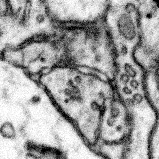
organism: Mouse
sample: Somatosensory cortex neuropil